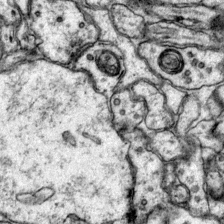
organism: Mouse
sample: Primary visual cortex